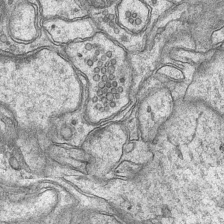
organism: Mouse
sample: CA1 Hippocampus